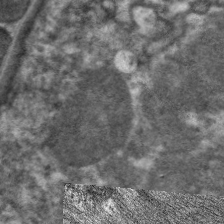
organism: C. elegans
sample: Pharynx